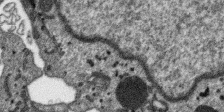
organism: Human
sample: Lung epithelial cells infected with SARS-CoV-2